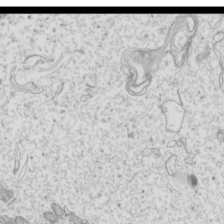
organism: Mouse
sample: Cilia; mouse epididymis